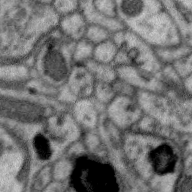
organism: Zebra finch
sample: Brain